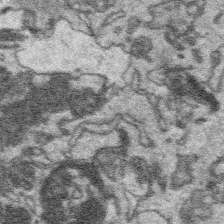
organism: Platynereis dumerilii